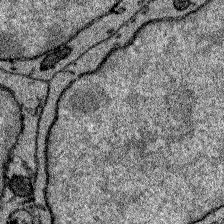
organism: Zebrafish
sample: Larval olfactory bulb